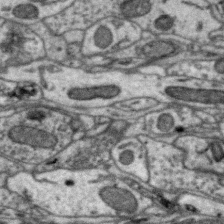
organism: Zebra finch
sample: Brain